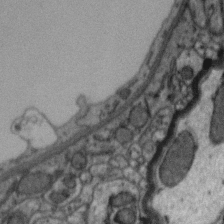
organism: Zebra finch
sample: Brain